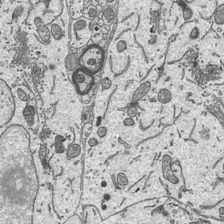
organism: Mouse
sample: Suprachiasmatic nucleus